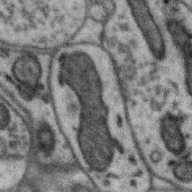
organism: Zebra finch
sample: Brain